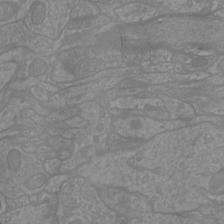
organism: Mouse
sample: Cortical neurons